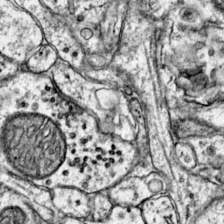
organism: Mouse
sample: Primary visual cortex